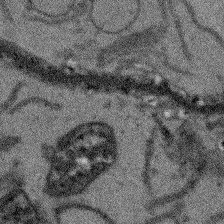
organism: Arabidopsis thaliana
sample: Root tip